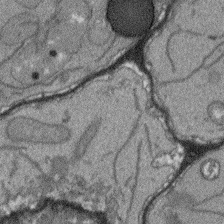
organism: Arabidopsis thaliana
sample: Root tip